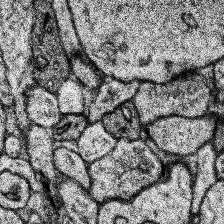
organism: Human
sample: Temporal Lobe